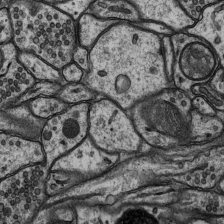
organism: Rat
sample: Hippocampus